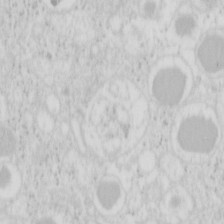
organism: Mouse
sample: Pancreas